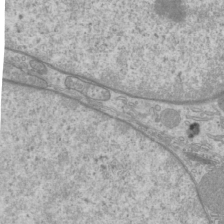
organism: Mouse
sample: Cilia; mouse epididymis